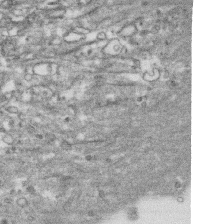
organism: Human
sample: CRL-1474